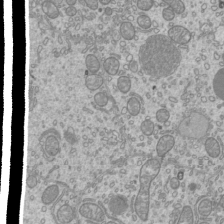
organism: Mouse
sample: Cilia; mouse epididymis